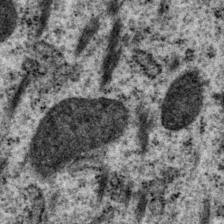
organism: P. pacificus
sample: Pharynx